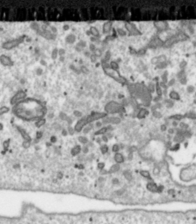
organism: Toxoplasma gondii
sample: Parasites in a vacuole inside a host cell